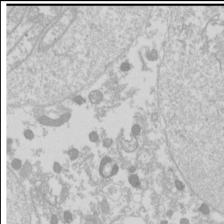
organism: Drosophila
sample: Cell division; meiosis; drosophila spermatocytes